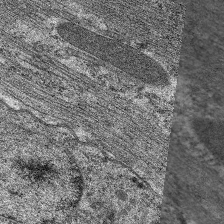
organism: C. elegans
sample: Pharynx